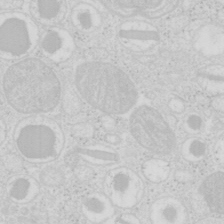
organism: Mouse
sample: Pancreas